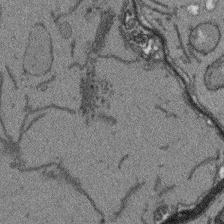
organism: Arabidopsis thaliana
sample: Root tip